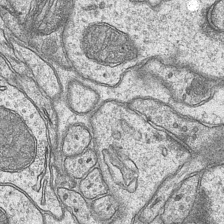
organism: Mouse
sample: CA1 Hippocampus